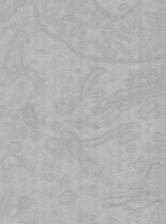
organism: Mouse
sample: Choroid plexus